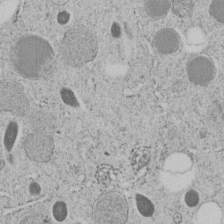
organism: C. elegans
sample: C. elegans embryo early stage